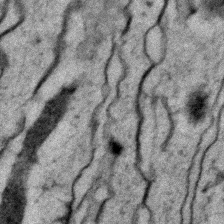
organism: C. elegans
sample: C. elegans embryo